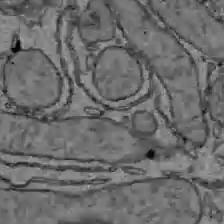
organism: C57BL Mouse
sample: Liver